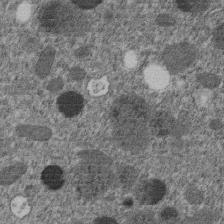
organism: C. elegans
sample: C. elegans embryo early stage